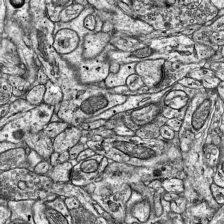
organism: Mouse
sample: Visual Cortex